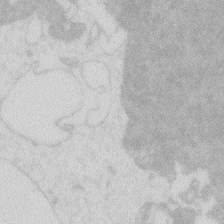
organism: Zebrafish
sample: Macrophage